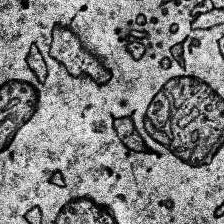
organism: Human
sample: Temporal Lobe